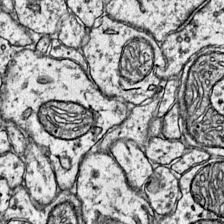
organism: Mouse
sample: Primary visual cortex